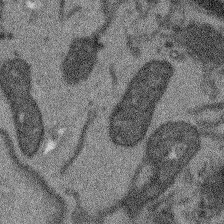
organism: Arabidopsis thaliana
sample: Root tip